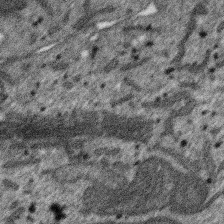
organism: Human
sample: Lung epithelial cells infected with SARS-CoV-2